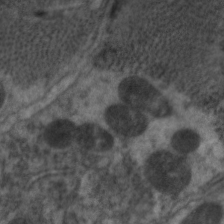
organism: C. elegans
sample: Pharynx